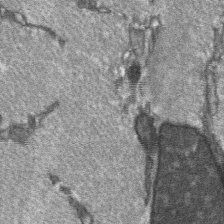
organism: C57BL Mouse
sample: Soleus